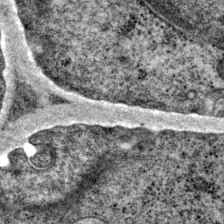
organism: P. pacificus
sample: Pharynx